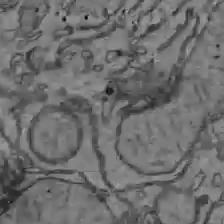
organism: C57BL Mouse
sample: Liver